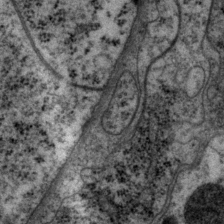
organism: P. pacificus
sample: Pharynx